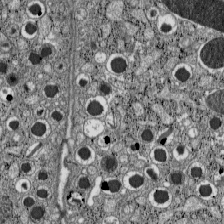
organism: C57BL Mouse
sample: Pancreatic islet